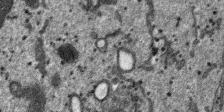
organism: Human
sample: Lung epithelial cells infected with SARS-CoV-2